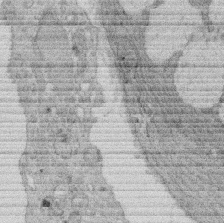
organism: Rat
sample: Salivary granule